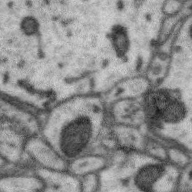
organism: Zebra finch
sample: Brain